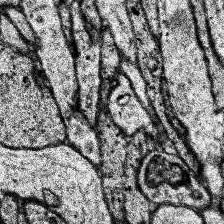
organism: Human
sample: Temporal Lobe